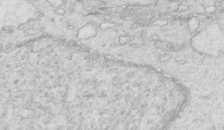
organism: Mouse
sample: Multiciliated cells